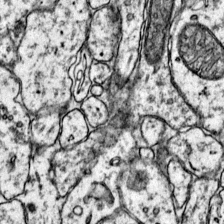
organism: Mouse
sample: Primary visual cortex